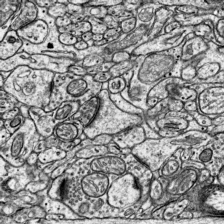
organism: Mouse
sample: Visual Cortex